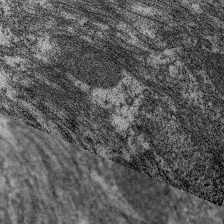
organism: C. elegans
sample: Pharynx